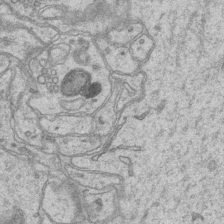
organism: Mouse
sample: CA1 Hippocampus